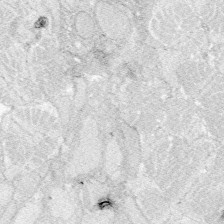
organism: Zebrafish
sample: Whole-Brain